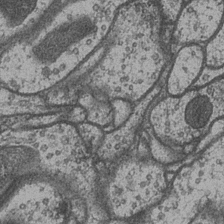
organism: Drosophila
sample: Optic medulla